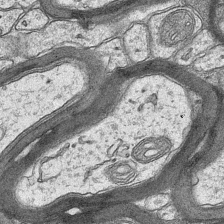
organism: Mouse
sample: CA1 Hippocampus